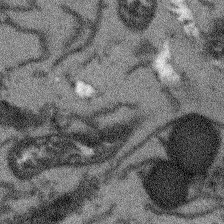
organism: Arabidopsis thaliana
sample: Root tip